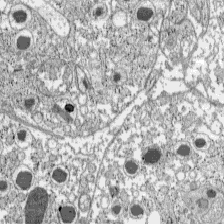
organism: C57BL Mouse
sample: Pancreatic islet